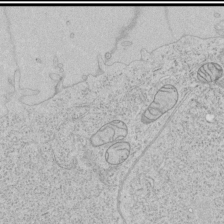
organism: Human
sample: Mitochondria in HCT116 cells